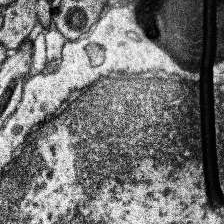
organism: Human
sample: Temporal Lobe